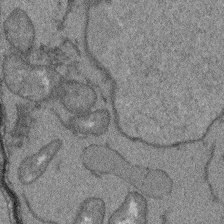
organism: Arabidopsis thaliana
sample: Root tip